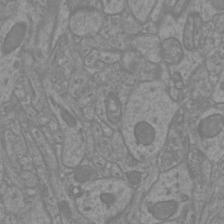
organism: Mouse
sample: Cortical neurons